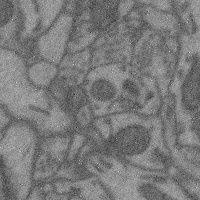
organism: Mouse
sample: Cerebral cortex